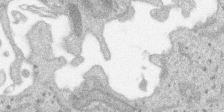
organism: Human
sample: Lung epithelial cells infected with SARS-CoV-2